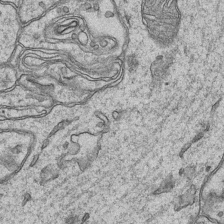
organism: Mouse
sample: CA1 Hippocampus